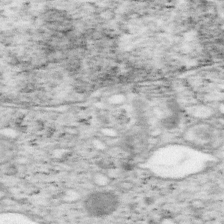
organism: Mouse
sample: OT-I killer T cells with ID8 ovarian cancer cells